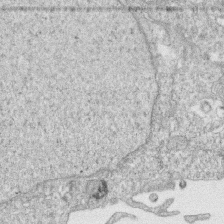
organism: Human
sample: HeLa cell HIV synapse